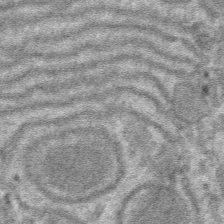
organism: Mouse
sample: Mouse hepatocytes